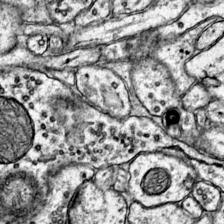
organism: Mouse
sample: Primary visual cortex